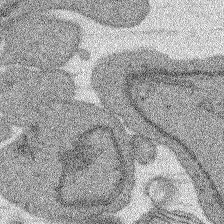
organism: Human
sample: HeLa cells